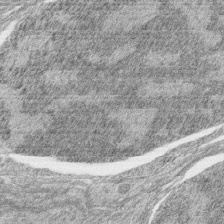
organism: Zebrafish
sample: synaptic ribbons in rod cells and cone cells